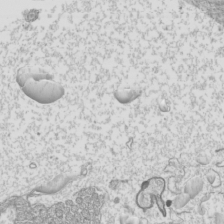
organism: Mouse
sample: Cilia; mouse epididymis